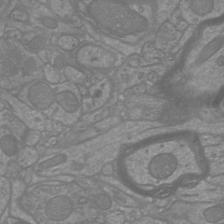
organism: Mouse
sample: Cortical neurons